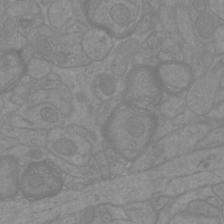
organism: Mouse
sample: Cortical neurons